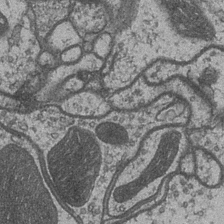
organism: Drosophila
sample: Optic medulla